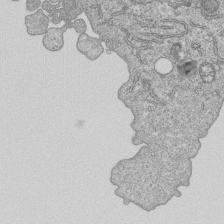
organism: Human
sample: MDA-MB-231 cells